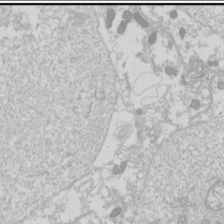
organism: Drosophila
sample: Cell division; meiosis; drosophila spermatocytes